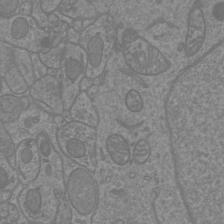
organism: Mouse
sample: Cortical neurons